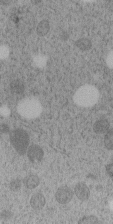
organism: C. elegans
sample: C. elegans embryo early stage